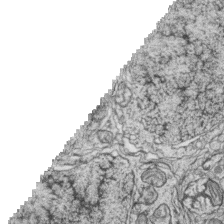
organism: Zebrafish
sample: synaptic ribbons in rod cells and cone cells